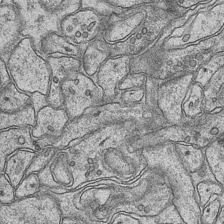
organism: Mouse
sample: CA1 Hippocampus